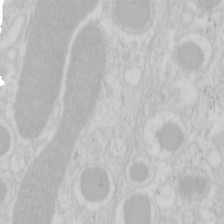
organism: Mouse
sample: Pancreas